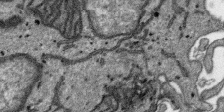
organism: Human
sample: Lung epithelial cells, uninfected (mock) control